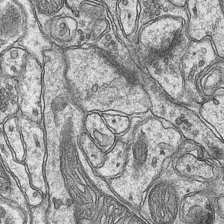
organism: Mouse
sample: CA1 Hippocampus